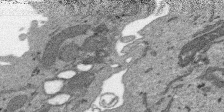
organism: Human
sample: Lung epithelial cells infected with SARS-CoV-2